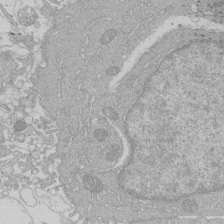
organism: Human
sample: Macrophage cells